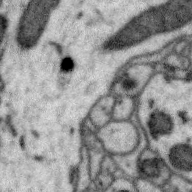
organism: Zebra finch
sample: Brain